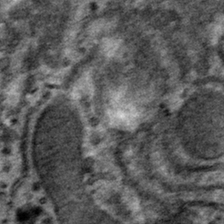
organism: Mouse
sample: Mouse hepatocytes